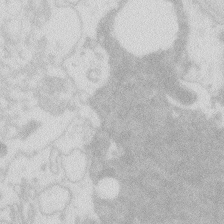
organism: Zebrafish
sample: Macrophage